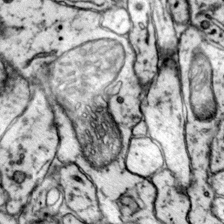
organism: Mouse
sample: Primary visual cortex